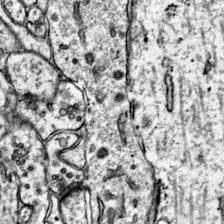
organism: Mouse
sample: Primary visual cortex